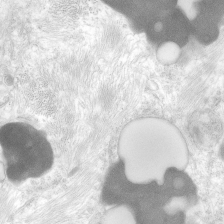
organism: Human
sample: Neocortex